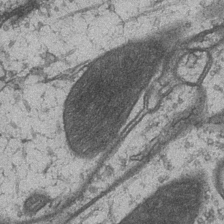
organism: Drosophila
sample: Optic medulla